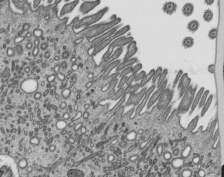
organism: Mouse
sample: Mouse epididymis efferent ductule cilia